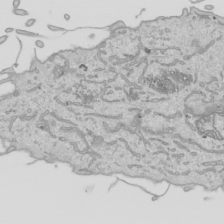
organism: Human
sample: Mitochondria in HCT116 cells